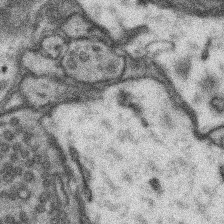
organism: Mouse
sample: Somatosensory cortex neuropil